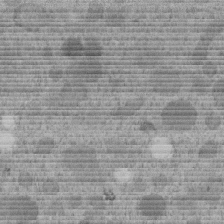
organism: C. elegans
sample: C. elegans embryo early stage